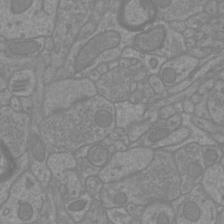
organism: Mouse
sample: Cortical neurons